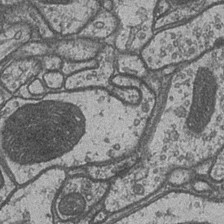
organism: Drosophila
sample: Optic medulla